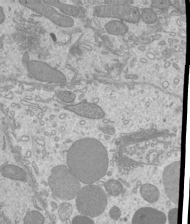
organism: Mouse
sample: Cilia; mouse epididymis